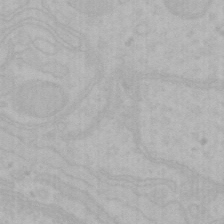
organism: Mouse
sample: Choroid plexus